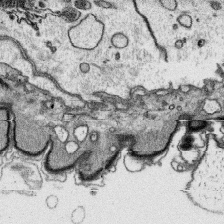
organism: Platynereis dumerilii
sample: Parapodia